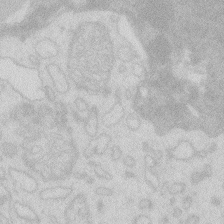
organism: Zebrafish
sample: Macrophage